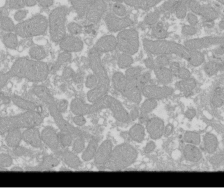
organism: Xenopus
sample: Cilia; centrioles in frog embryo cells